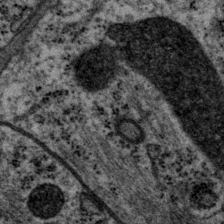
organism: P. pacificus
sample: Pharynx